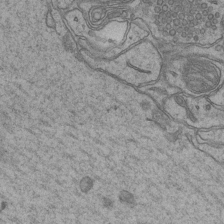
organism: Mouse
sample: CA1 Hippocampus